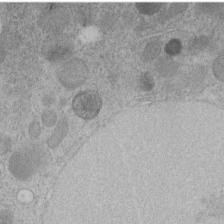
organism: C. elegans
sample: C. elegans embryo early stage